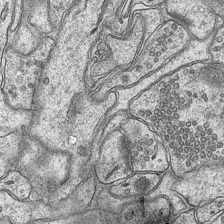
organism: Mouse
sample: CA1 Hippocampus